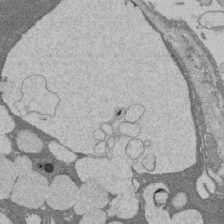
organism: Rat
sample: Salivary granule